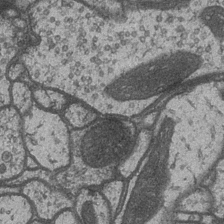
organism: Drosophila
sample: Optic medulla